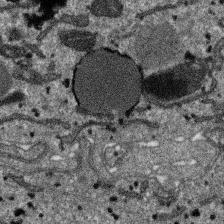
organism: Human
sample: Lung epithelial cells infected with SARS-CoV-2